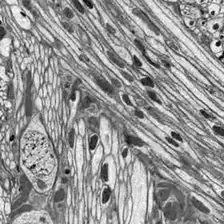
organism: Drosophila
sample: Optic lobe